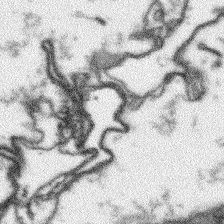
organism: Arabidopsis thaliana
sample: Root tip